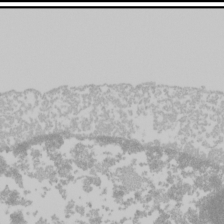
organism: Mouse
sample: Cancer cell death in ED-1 cells